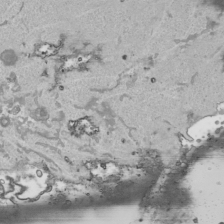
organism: Human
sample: Mitochondria in HCT116 cells